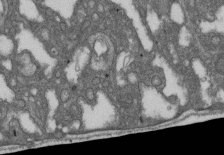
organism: Drosophila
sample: Nephrocyte